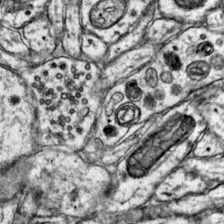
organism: Mouse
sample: Primary visual cortex